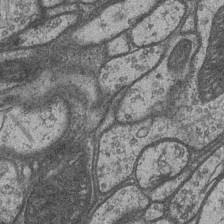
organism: Drosophila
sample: Optic medulla